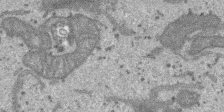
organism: Human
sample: Lung epithelial cells infected with SARS-CoV-2